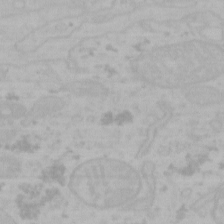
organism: Mouse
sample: Choroid plexus